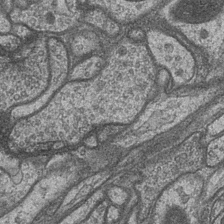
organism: Drosophila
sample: Optic medulla